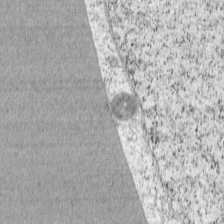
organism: African green monkey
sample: COS-7 cells